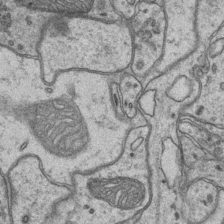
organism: Mouse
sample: CA1 Hippocampus